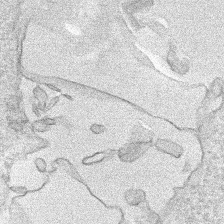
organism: Human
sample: Mitochondria in HCT116 cells